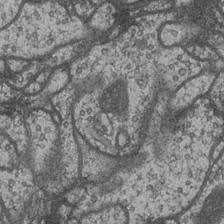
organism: Drosophila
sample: Optic medulla